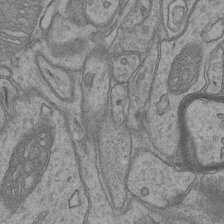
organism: Mouse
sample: CA1 Hippocampus